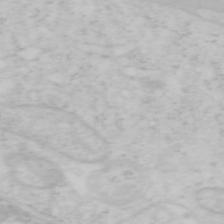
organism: Mouse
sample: OT-I killer T cells with ID8 ovarian cancer cells